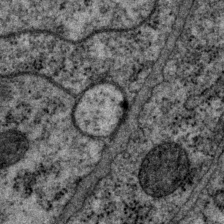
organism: P. pacificus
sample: Pharynx